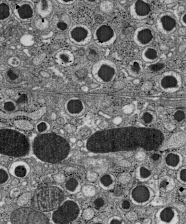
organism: C57BL Mouse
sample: Pancreatic islet